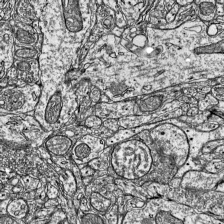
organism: Mouse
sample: Visual Cortex